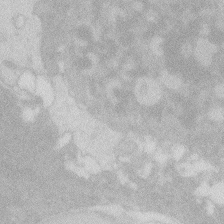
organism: Zebrafish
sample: Macrophage